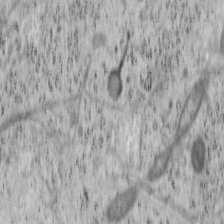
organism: Human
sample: HeLa cells